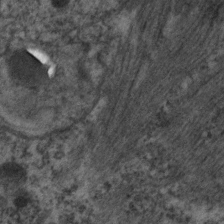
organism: C. elegans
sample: Pharynx